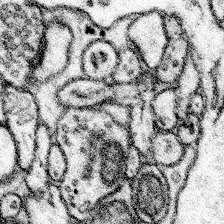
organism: Mouse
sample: Somatosensory cortex neuropil